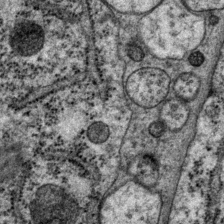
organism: P. pacificus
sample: Pharynx